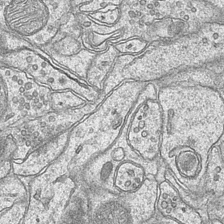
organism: Mouse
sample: CA1 Hippocampus